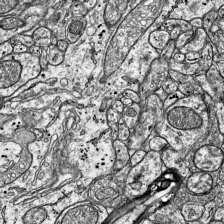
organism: Mouse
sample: Visual Cortex